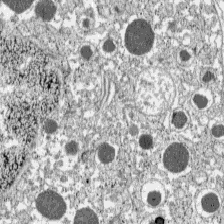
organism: C57BL Mouse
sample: Pancreatic islet